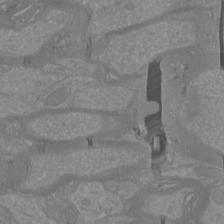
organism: Mouse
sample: Cortical neurons